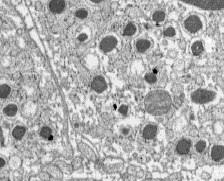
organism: C57BL Mouse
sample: Pancreatic islet